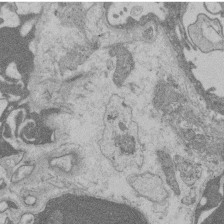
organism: Rat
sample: Salivary granule